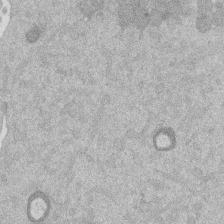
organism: Mouse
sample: Dividing mouse embryo 1 cell stage